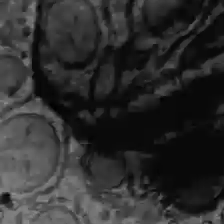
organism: C57BL Mouse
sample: Liver